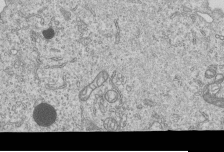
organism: Human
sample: MDA-MB-231 cells